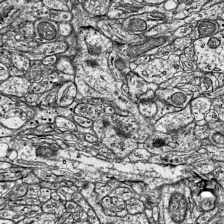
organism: Mouse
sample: Visual Cortex